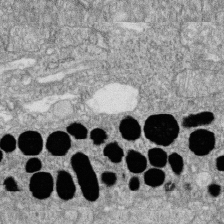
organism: Zebrafish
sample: Cilia; retinal pigment epithelium